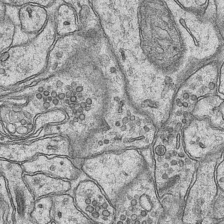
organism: Mouse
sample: CA1 Hippocampus